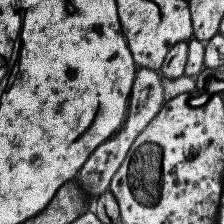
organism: Human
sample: Temporal Lobe